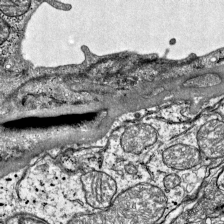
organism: Mouse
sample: Visual Cortex